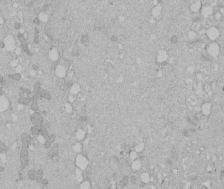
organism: Human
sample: Melanocyte Keratinocyte synapse skin construct